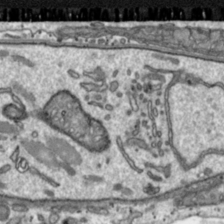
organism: Toxoplasma gondii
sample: Parasites in a vacuole inside a host cell